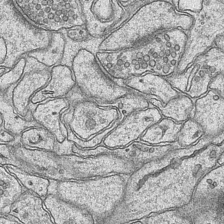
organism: Mouse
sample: CA1 Hippocampus